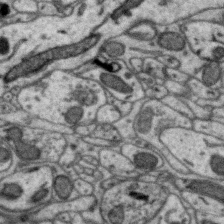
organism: Zebra finch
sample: Brain